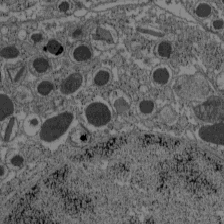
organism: C57BL Mouse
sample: Pancreatic islet